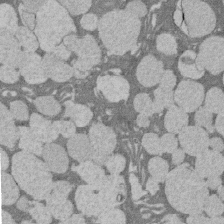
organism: Rat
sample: Salivary granule